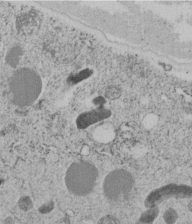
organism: C. elegans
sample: C. elegans embryo early stage